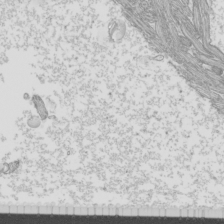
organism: Mouse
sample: Cilia; mouse epididymis